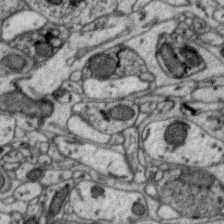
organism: Zebra finch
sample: Brain